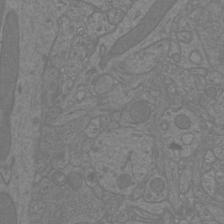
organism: Mouse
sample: Cortical neurons